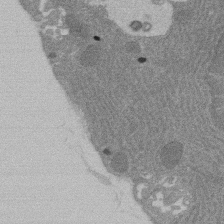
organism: Rat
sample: Salivary granule